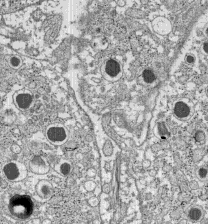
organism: C57BL Mouse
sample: Pancreatic islet